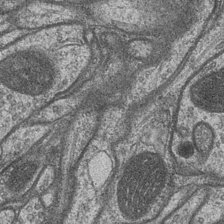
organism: Drosophila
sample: Optic medulla